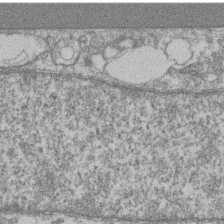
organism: Mouse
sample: T cell stromal cell synapse